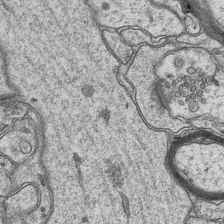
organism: Mouse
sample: CA1 Hippocampus